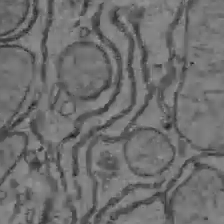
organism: C57BL Mouse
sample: Liver